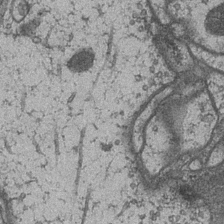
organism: Drosophila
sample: Optic medulla